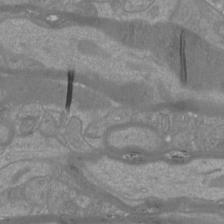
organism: Mouse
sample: Cortical neurons